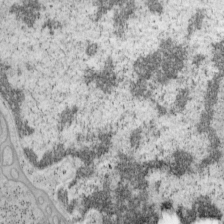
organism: Mouse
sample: OT-I killer T cells with ID8 ovarian cancer cells